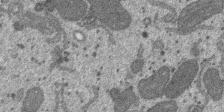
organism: Human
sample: Lung epithelial cells infected with SARS-CoV-2